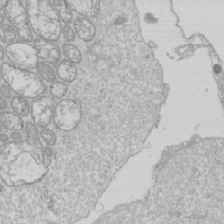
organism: Drosophila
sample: Cell division; meiosis; drosophila spermatocytes